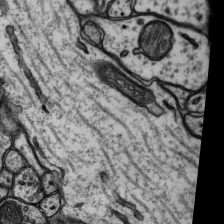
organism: Rat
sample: Hippocampus